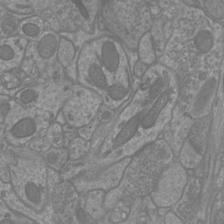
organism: Mouse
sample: Cortical neurons